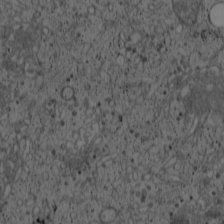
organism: African green monkey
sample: COS-7 cells